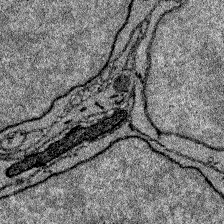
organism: Zebrafish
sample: Larval olfactory bulb